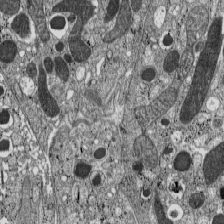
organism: C57BL Mouse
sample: Pancreatic islet